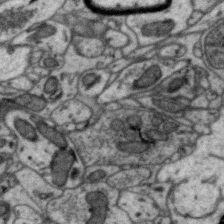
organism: Zebra finch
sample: Brain